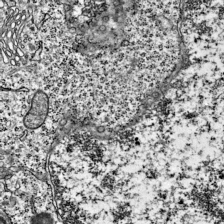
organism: Mouse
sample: Visual Cortex